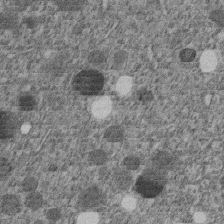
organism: C. elegans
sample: C. elegans embryo early stage